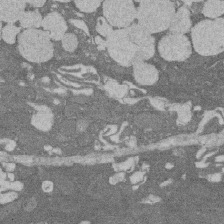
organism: Rat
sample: Salivary granule